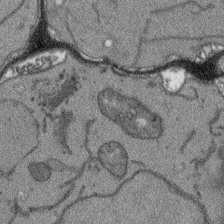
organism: Arabidopsis thaliana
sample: Root tip